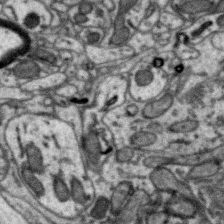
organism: Zebra finch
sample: Brain